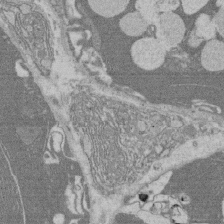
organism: Rat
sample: Salivary granule